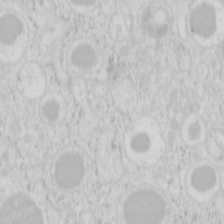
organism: Mouse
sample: Pancreas